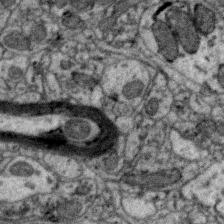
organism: Zebra finch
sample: Brain